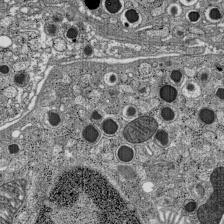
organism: C57BL Mouse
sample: Pancreatic islet